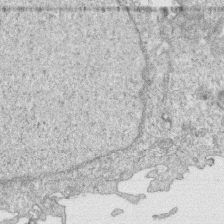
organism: Human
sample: HeLa cell HIV synapse